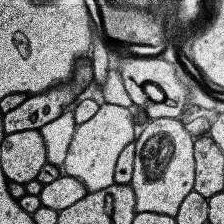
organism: Human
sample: Temporal Lobe